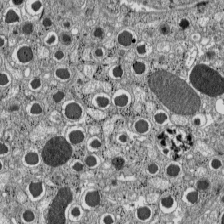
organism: C57BL Mouse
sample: Pancreatic islet